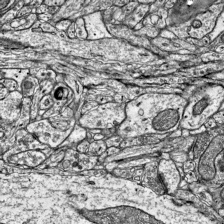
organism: Mouse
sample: Visual Cortex